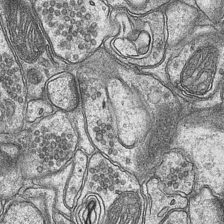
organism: Mouse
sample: CA1 Hippocampus